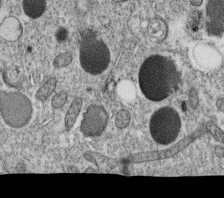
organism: C. elegans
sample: C. elegans oocyte; sperm cells